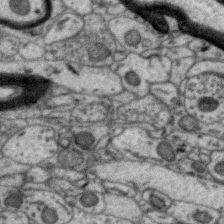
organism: Zebra finch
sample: Brain